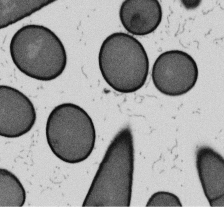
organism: B. subtilis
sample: Bacterial spore